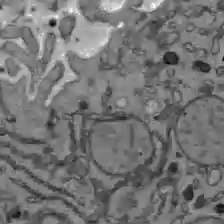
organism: C57BL Mouse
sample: Liver